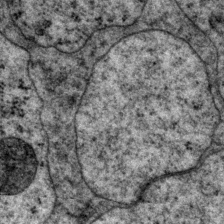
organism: P. pacificus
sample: Pharynx